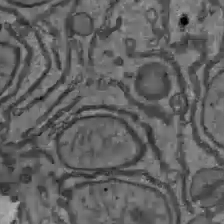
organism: C57BL Mouse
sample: Liver